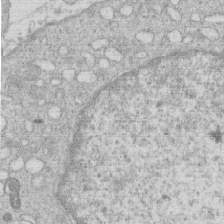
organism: Human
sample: Macrophage cells